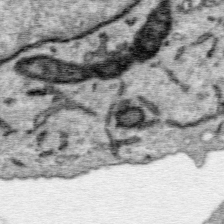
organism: Human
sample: HeLa cells